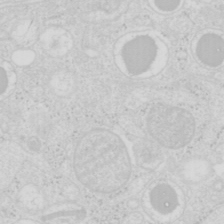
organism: Mouse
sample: Pancreas